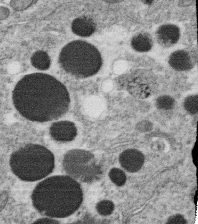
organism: C. elegans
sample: C. elegans oocyte; sperm cells